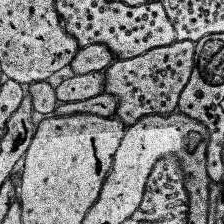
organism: Human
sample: Temporal Lobe